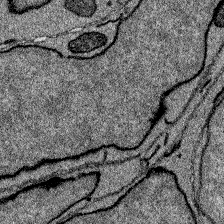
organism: Zebrafish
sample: Larval olfactory bulb